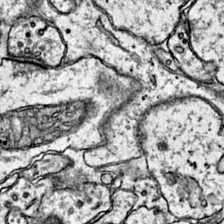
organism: Mouse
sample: Primary visual cortex